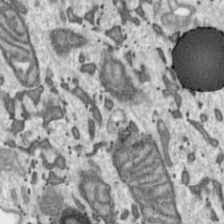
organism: Toxoplasma gondii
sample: Parasites in a vacuole inside a host cell